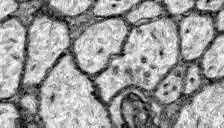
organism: Zebrafish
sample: Brain